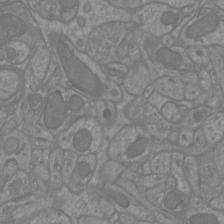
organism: Mouse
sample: Cortical neurons